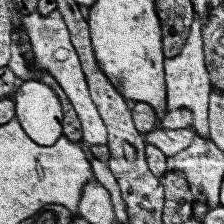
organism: Human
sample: Temporal Lobe